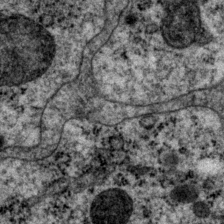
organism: P. pacificus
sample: Pharynx